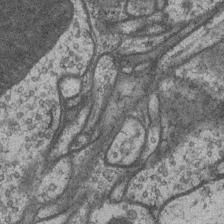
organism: Drosophila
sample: Optic medulla